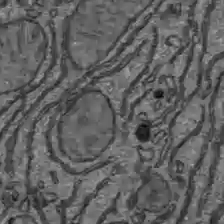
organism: C57BL Mouse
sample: Liver